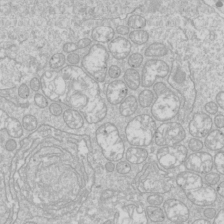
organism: Drosophila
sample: Cell division; meiosis; drosophila spermatocytes